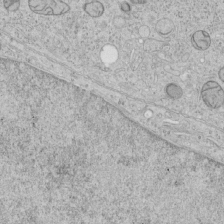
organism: Human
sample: Mitochondria in HCT116 cells